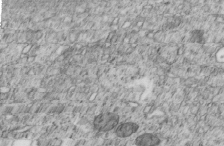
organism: C. elegans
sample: C. elegans embryo early stage